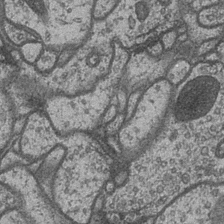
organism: Drosophila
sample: Optic medulla